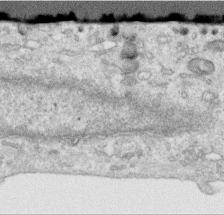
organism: Human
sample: Centriole in RPE cells